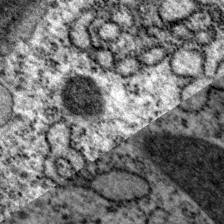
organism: P. pacificus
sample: Pharynx